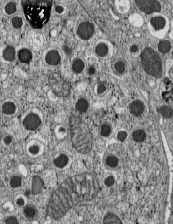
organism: C57BL Mouse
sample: Pancreatic islet